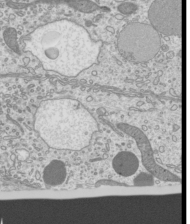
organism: Mouse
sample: Cilia; mouse epididymis